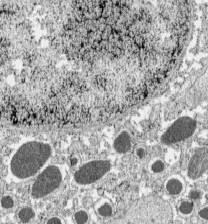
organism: C57BL Mouse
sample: Pancreatic islet